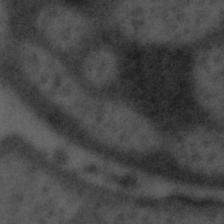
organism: Tuwongella immobilis